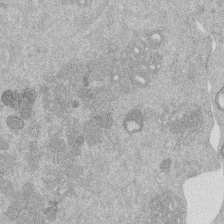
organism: Mouse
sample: Dividing mouse embryo 1 cell stage